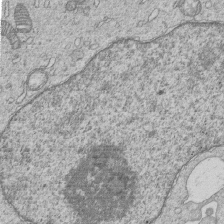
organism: Human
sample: MDA-MB-231 cells